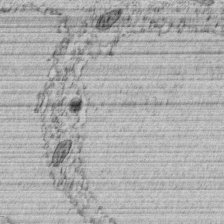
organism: C. elegans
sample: C. elegans embryo early stage